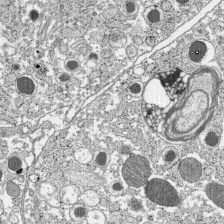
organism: C57BL Mouse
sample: Pancreatic islet